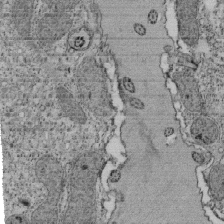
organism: Tetrahymena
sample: Cilia in tetrahymena